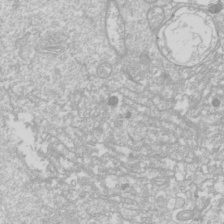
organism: Drosophila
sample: Cell division; meiosis; drosophila spermatocytes